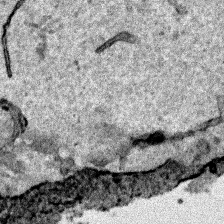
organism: Human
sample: Mitochondria in HCT116 cells